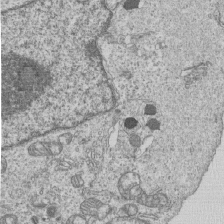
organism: Human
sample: MDA-MB-231 cells